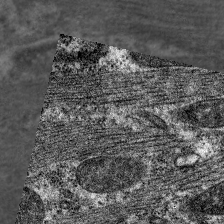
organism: C. elegans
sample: Pharynx